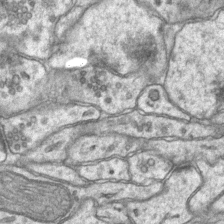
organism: Mouse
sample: CA1 Hippocampus